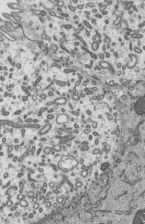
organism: Mouse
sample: Mouse epididymis efferent ductule cilia